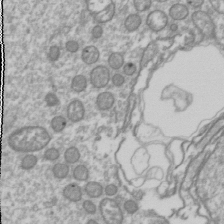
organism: Drosophila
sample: Cell division; meiosis; drosophila spermatocytes